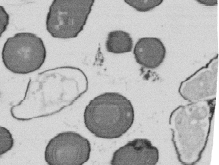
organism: B. subtilis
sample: Bacterial spore